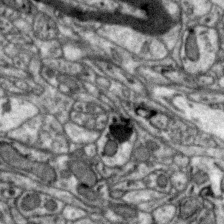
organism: Zebra finch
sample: Brain